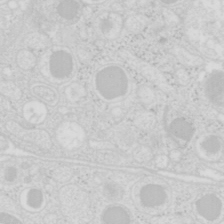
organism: Mouse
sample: Pancreas